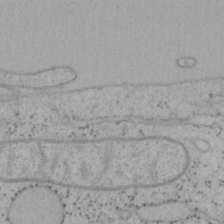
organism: Human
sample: HeLa cells